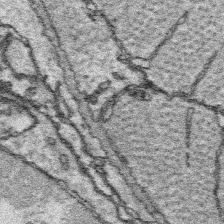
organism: Platynereis dumerilii